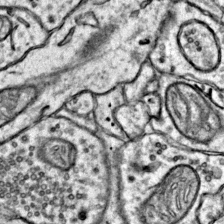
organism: Mouse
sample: Primary visual cortex